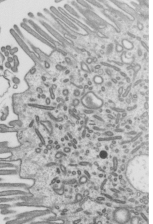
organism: Mouse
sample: Mouse epididymis efferent ductule cilia